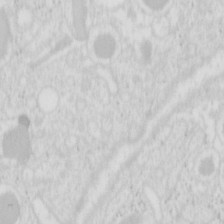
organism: Mouse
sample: Pancreas